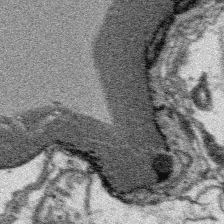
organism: Platynereis dumerilii